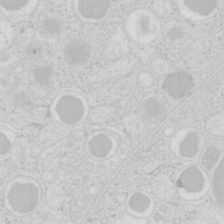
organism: Mouse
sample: Pancreas